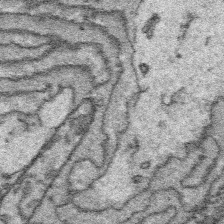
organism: Platynereis dumerilii